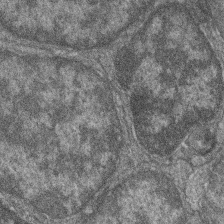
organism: Zebrafish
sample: Cilia; retinal pigment epithelium